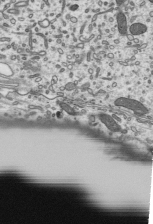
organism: Mouse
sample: Mouse epididymis efferent ductule cilia